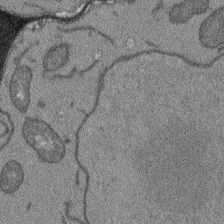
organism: Arabidopsis thaliana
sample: Root tip